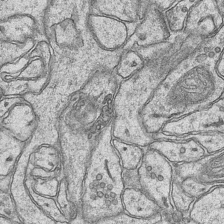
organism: Mouse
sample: CA1 Hippocampus